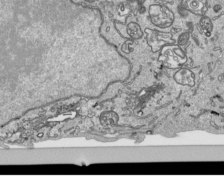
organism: Human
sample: Mitochondria in HCT116 cells